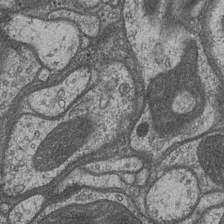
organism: Drosophila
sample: Optic medulla